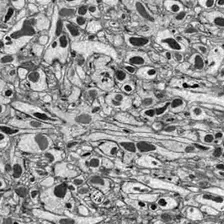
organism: Drosophila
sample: Optic lobe